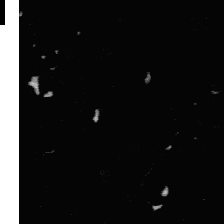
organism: Platynereis dumerilii